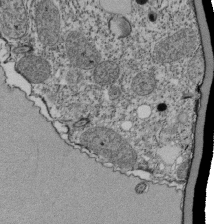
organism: Tetrahymena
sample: Cilia in tetrahymena